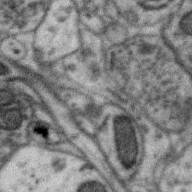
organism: Zebra finch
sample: Brain